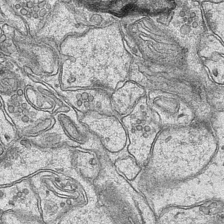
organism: Mouse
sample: CA1 Hippocampus